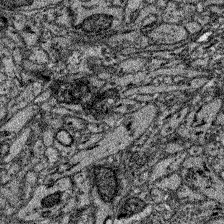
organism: Zebrafish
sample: Larval olfactory bulb